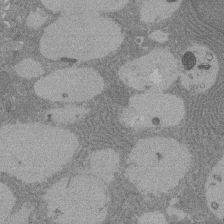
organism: Rat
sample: Salivary granule